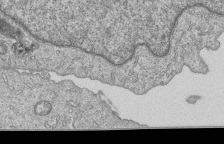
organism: Human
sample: MDA-MB-231 cells